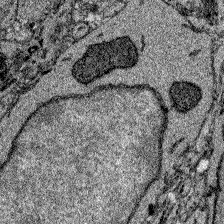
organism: Zebrafish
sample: Larval olfactory bulb